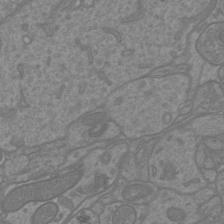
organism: Mouse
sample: Cortical neurons